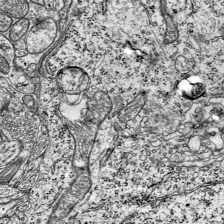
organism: Mouse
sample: Visual Cortex